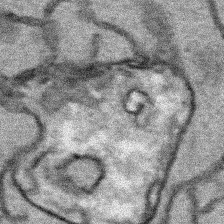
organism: Human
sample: Mitochondria in HCT116 cells